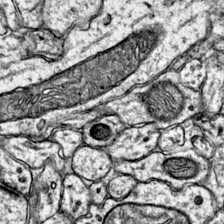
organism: Mouse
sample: Primary visual cortex